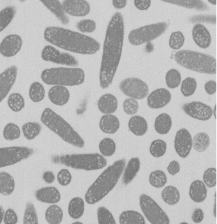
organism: E. coli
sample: Bacterial nucleoid